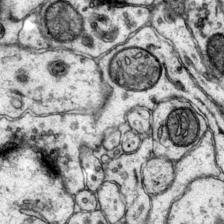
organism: Mouse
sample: Primary visual cortex